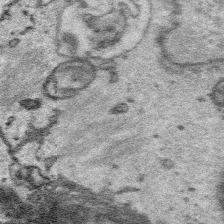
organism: Platynereis dumerilii